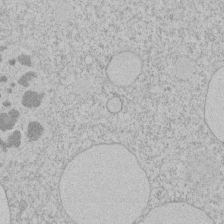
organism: Tetrahymena